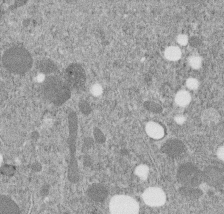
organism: C. elegans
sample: C. elegans embryo early stage